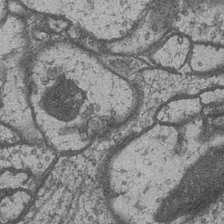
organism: Drosophila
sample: Optic medulla